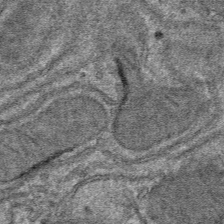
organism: Mouse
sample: Mouse hepatocytes